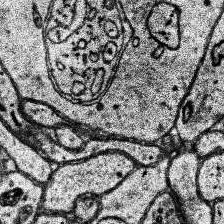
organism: Human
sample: Temporal Lobe